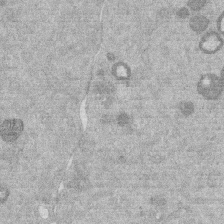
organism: Mouse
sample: Dividing mouse embryo 1 cell stage